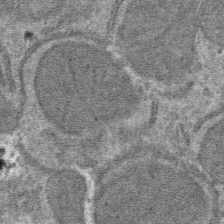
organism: Mouse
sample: Mouse hepatocytes